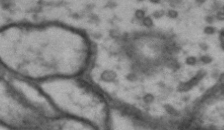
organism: Drosophila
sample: Brain